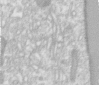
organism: Human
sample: Centriole in RPE cells